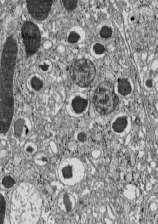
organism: C57BL Mouse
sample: Pancreatic islet